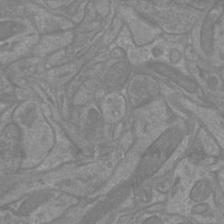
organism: Mouse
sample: Cortical neurons